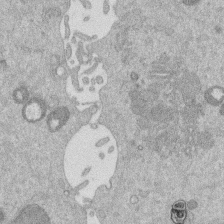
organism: Mouse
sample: Dividing mouse embryo 1 cell stage